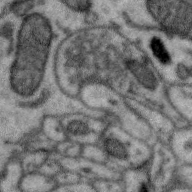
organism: Zebra finch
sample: Brain